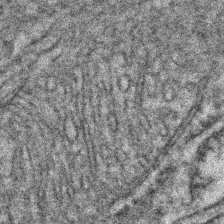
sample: Kidney